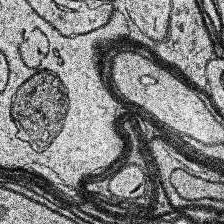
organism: Human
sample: Temporal Lobe